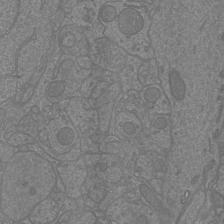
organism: Mouse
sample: Cortical neurons